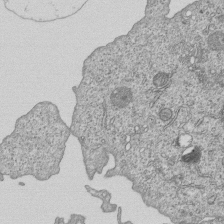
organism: Human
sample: MDA-MB-231 cells